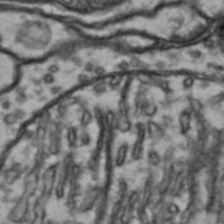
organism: Drosophila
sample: Brain